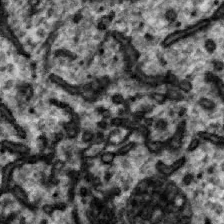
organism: Human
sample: HeLa cells